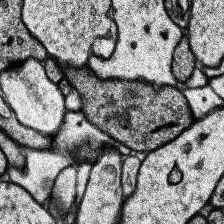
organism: Human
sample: Temporal Lobe